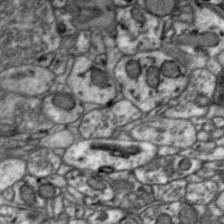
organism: Zebra finch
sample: Brain